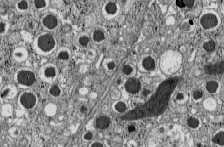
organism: C57BL Mouse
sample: Pancreatic islet